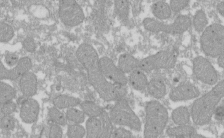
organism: Xenopus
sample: Cilia; centrioles in frog embryo cells